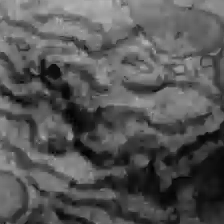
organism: C57BL Mouse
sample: Liver